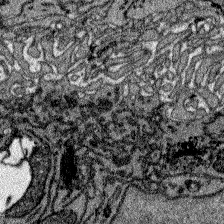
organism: Zebrafish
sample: Larval olfactory bulb